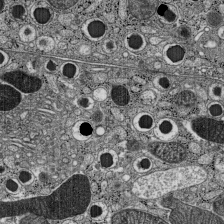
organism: C57BL Mouse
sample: Pancreatic islet